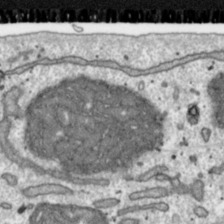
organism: Toxoplasma gondii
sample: Parasites in a vacuole inside a host cell